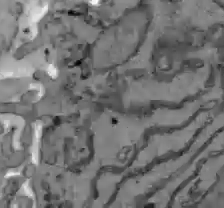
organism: C57BL Mouse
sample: Liver